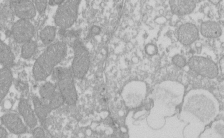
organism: Xenopus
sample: Cilia; centrioles in frog embryo cells